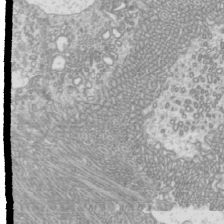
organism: Mouse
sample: Cilia; mouse epididymis